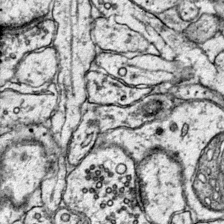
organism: Mouse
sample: Primary visual cortex